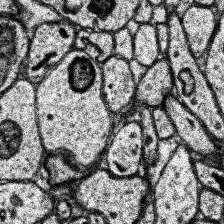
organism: Human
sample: Temporal Lobe